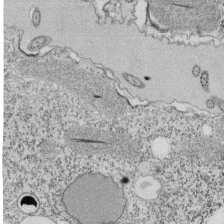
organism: Tetrahymena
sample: Cilia in tetrahymena